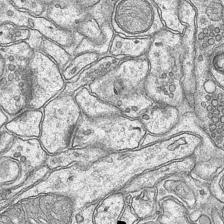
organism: Mouse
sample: CA1 Hippocampus